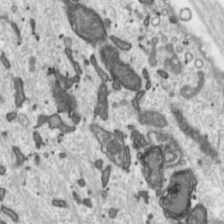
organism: Toxoplasma gondii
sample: Parasites in a vacuole inside a host cell